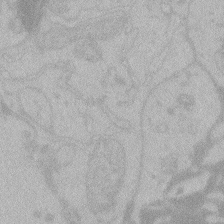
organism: Zebrafish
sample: Macrophage infected with Toxoplasma gondii